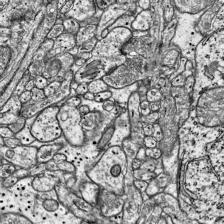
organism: Mouse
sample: Visual Cortex